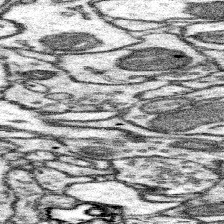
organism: Mouse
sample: Somatosensory cortex neuropil